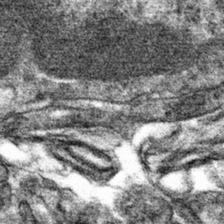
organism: Mouse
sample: Mouse hepatocytes